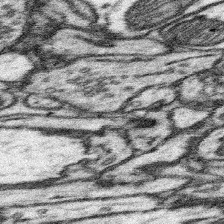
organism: Mouse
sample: Somatosensory cortex neuropil